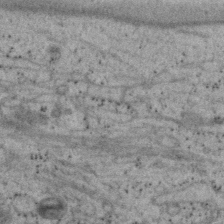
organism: Human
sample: HeLa cells